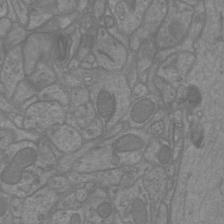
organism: Mouse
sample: Cortical neurons